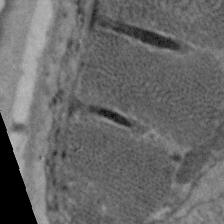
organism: C. elegans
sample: Pharynx